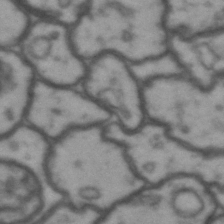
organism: Drosophila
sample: Brain